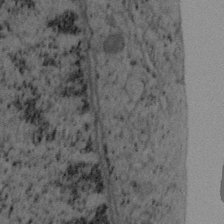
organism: Human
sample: HeLa cells